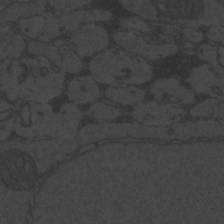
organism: Zebrafish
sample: Macrophage infected with Toxoplasma gondii